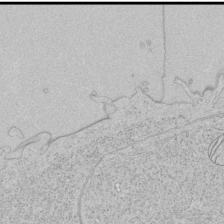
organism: Human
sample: Mitochondria in HCT116 cells